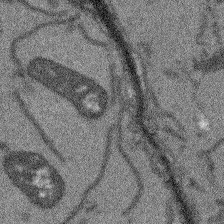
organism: Arabidopsis thaliana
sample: Root tip